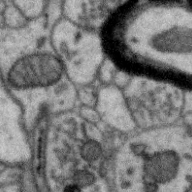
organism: Zebra finch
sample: Brain